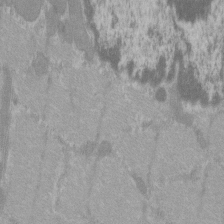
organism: C57BL Mouse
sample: Tibialis anterior muscle cell